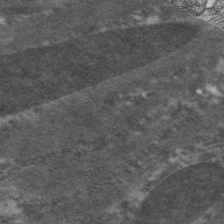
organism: C. elegans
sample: Pharynx